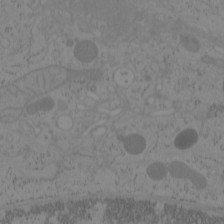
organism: Human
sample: HeLa cells